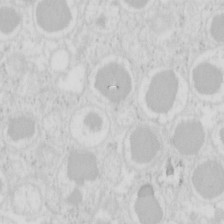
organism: Mouse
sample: Pancreas